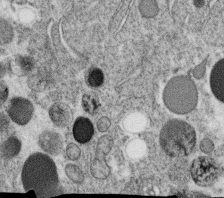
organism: C. elegans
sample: C. elegans oocyte; sperm cells